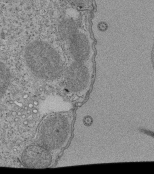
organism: Tetrahymena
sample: Cilia in tetrahymena